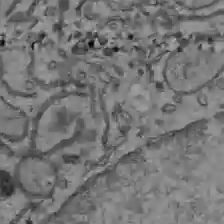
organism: C57BL Mouse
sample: Liver